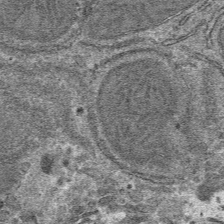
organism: Mouse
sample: Mouse hepatocytes